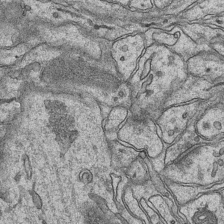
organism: Mouse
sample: CA1 Hippocampus